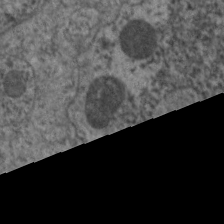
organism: C. elegans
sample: Pharynx